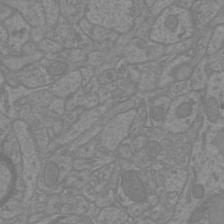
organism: Mouse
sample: Cortical neurons